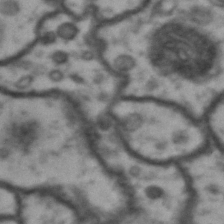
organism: Drosophila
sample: Brain